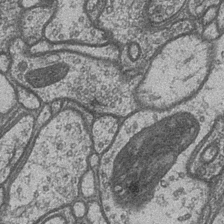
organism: Drosophila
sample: Optic medulla